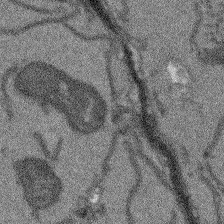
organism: Arabidopsis thaliana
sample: Root tip